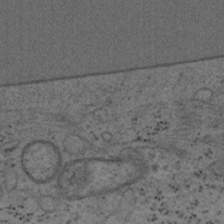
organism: Human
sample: HeLa cells